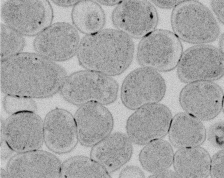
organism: E. coli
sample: Bacterial nucleoid